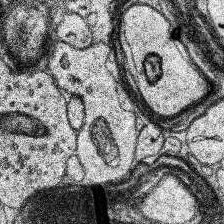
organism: Human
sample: Temporal Lobe